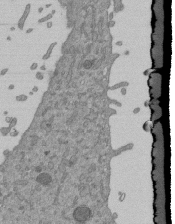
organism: Mouse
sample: ED-1 cell nuclei; centrioles